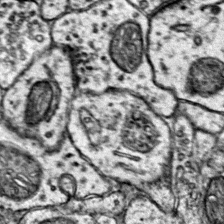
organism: Mouse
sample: Primary visual cortex